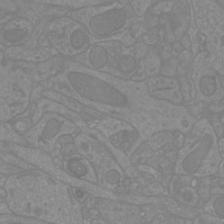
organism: Mouse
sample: Cortical neurons